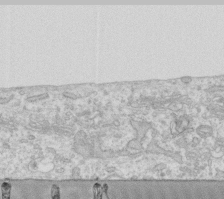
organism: Human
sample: Fibroblast cells